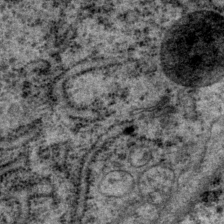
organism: P. pacificus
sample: Pharynx